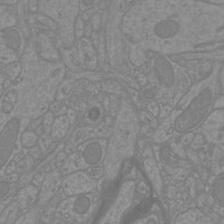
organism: Mouse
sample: Cortical neurons